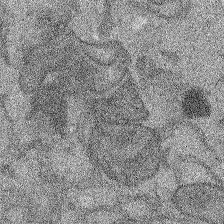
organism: Human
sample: HeLa cells